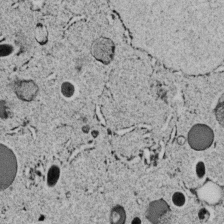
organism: C. elegans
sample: C. elegans embryo early stage